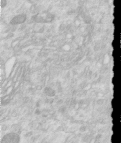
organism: Human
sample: Centriole in RPE cells